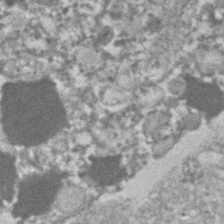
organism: Human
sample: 1205lu cells